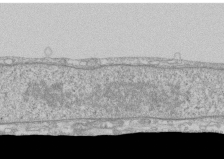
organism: Human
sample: CRL-1474